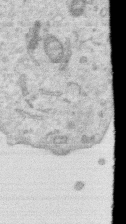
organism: Human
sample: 1205lu cells